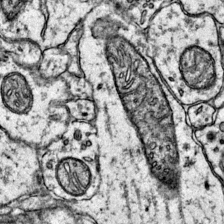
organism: Mouse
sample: Primary visual cortex